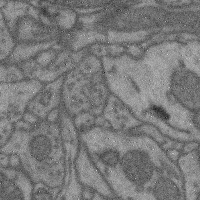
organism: Mouse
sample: Cerebral cortex